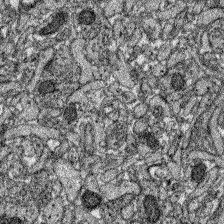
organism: Zebrafish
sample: Larval olfactory bulb